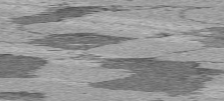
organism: C57BL Mouse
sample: Heart